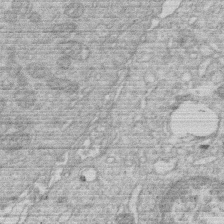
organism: Human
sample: Macrophage cells